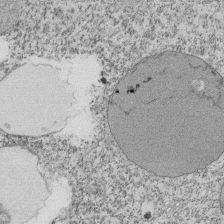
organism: Tetrahymena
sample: Cilia in tetrahymena